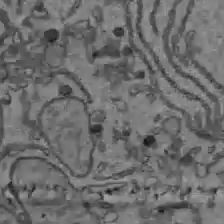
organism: C57BL Mouse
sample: Liver